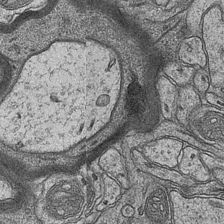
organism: Mouse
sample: CA1 Hippocampus